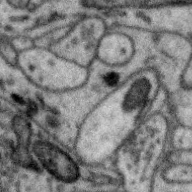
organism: Zebra finch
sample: Brain